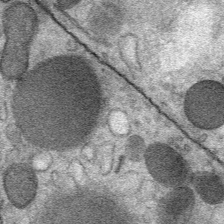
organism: Mouse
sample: Mouse Salivary gland